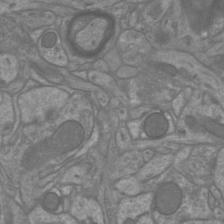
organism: Mouse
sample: Cortical neurons